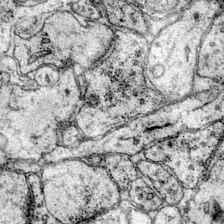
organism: Mouse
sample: Primary visual cortex